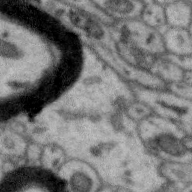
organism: Zebra finch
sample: Brain